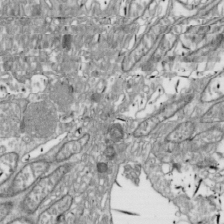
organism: Drosophila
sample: Cell division; meiosis; drosophila spermatocytes